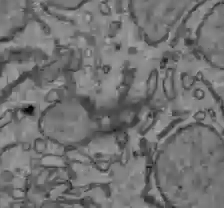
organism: C57BL Mouse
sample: Liver